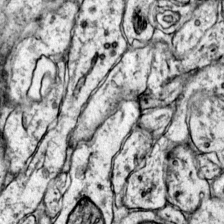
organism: Mouse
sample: Primary visual cortex